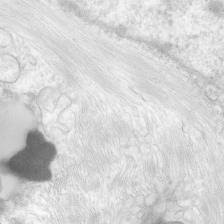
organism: Human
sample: Neocortex